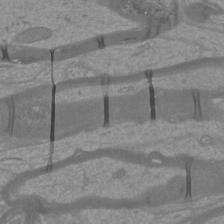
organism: Mouse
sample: Cortical neurons